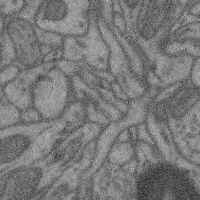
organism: Mouse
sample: Cerebral cortex